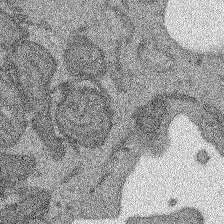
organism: Human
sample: HeLa cells